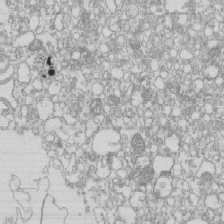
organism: Mouse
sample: Macrophages